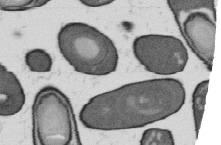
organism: B. subtilis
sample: Bacterial spore